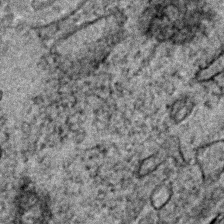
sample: Trachea